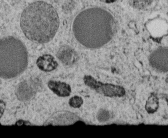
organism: C. elegans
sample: C. elegans embryo early stage